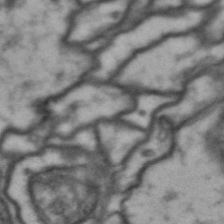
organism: Drosophila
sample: Brain